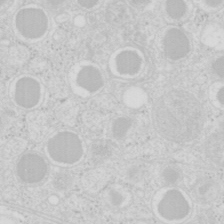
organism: Mouse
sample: Pancreas